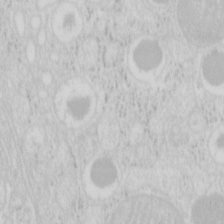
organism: Mouse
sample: Pancreas